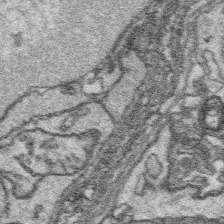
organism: Platynereis dumerilii